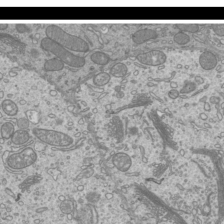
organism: Mouse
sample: Cilia; mouse epididymis